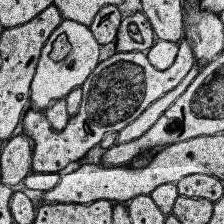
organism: Human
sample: Temporal Lobe